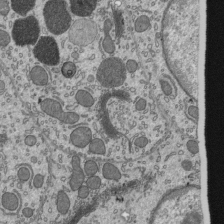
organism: Mouse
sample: Mouse epididymis efferent ductule cilia